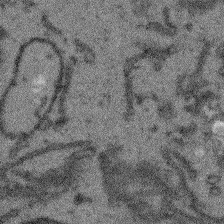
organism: Arabidopsis thaliana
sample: Root tip